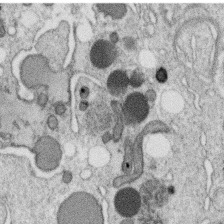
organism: C. elegans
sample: C. elegans oocyte; sperm cells